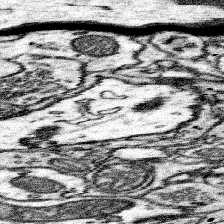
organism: Mouse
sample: Somatosensory cortex neuropil